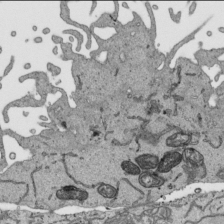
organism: Human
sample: Mitochondria in HCT116 cells